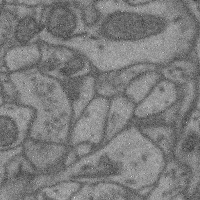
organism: Mouse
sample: Cerebral cortex